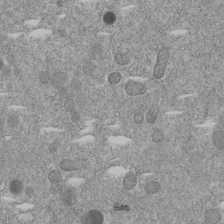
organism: C. elegans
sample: C. elegans embryo early stage